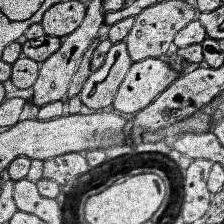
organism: Human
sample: Temporal Lobe